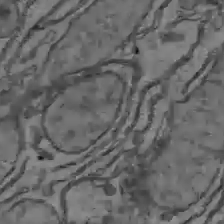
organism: C57BL Mouse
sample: Liver